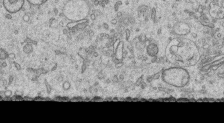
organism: Human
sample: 1205lu cells